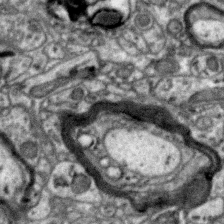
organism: Zebra finch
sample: Brain